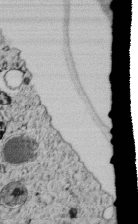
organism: C. elegans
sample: C. elegans embryo early stage